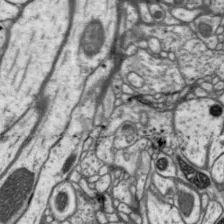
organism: Drosophila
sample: Protocerebral bridge